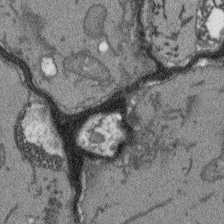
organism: Arabidopsis thaliana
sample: Root tip